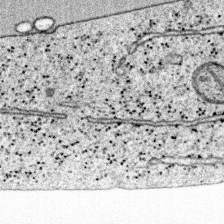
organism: Human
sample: HeLa cells